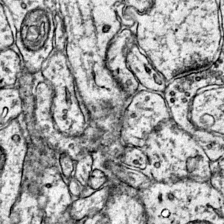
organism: Mouse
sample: Primary visual cortex